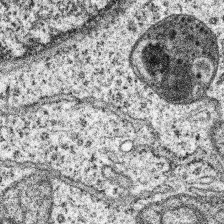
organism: Human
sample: HeLa cells